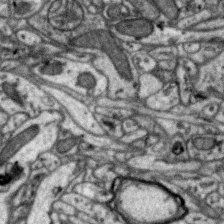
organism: Zebra finch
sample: Brain